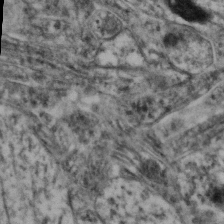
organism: Mouse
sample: Neocortex